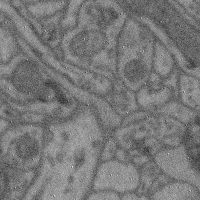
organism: Mouse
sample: Cerebral cortex